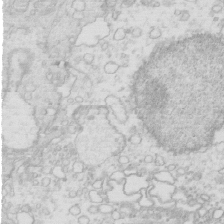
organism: Mouse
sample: Multiciliated cells